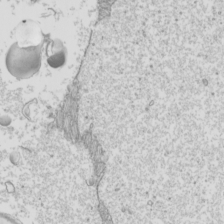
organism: Mouse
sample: Cilia; mouse epididymis